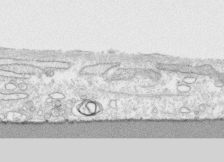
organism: Human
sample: CRL-1474